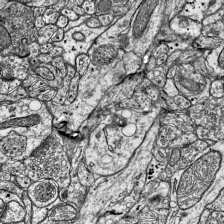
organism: Mouse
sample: Visual Cortex